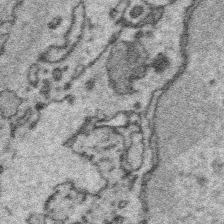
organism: Platynereis dumerilii